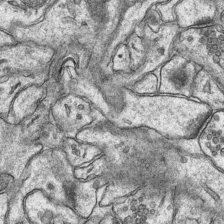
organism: Mouse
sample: CA1 Hippocampus